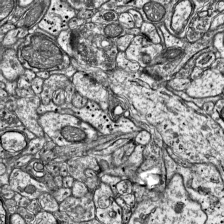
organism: Mouse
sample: Visual Cortex